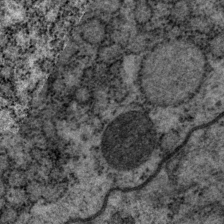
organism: P. pacificus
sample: Pharynx